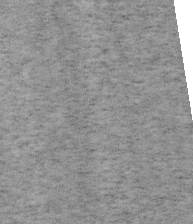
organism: Mouse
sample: OT-I killer T cells with ID8 ovarian cancer cells